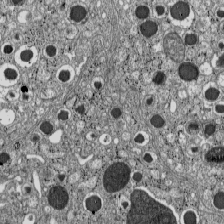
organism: C57BL Mouse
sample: Pancreatic islet